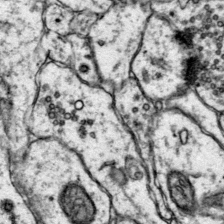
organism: Mouse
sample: Primary visual cortex